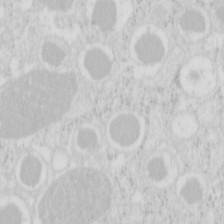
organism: Mouse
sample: Pancreas